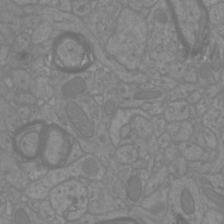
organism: Mouse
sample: Cortical neurons